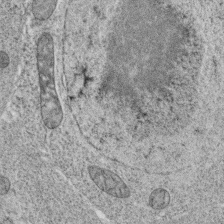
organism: C. elegans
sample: C. elegans oocyte; sperm cells